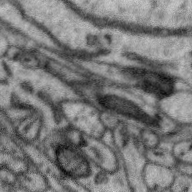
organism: Zebra finch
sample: Brain